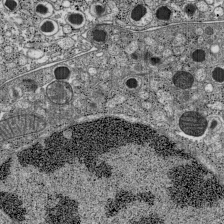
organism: C57BL Mouse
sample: Pancreatic islet